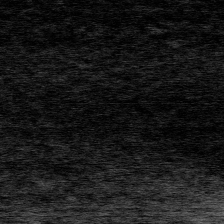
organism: Human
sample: HeLa cells